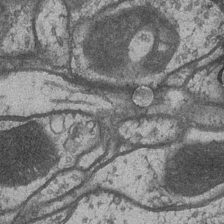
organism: Drosophila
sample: Optic medulla